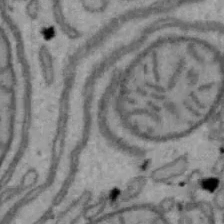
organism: Mouse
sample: Liver